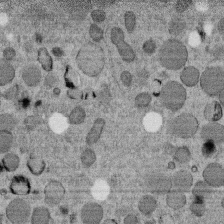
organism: C. elegans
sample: C. elegans embryo early stage